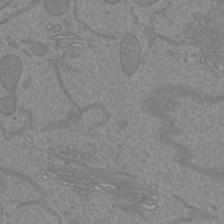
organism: Mouse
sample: Cortical neurons